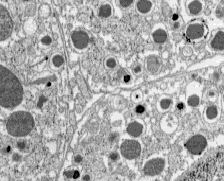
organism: C57BL Mouse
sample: Pancreatic islet